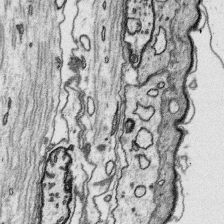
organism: Platynereis dumerilii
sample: Parapodia